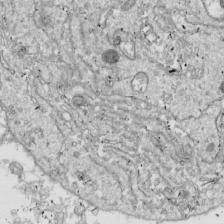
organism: Drosophila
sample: Cell division; meiosis; drosophila spermatocytes